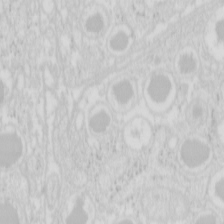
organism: Mouse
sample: Pancreas